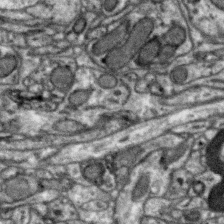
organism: Zebra finch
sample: Brain